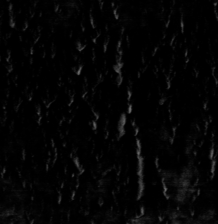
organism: Toxoplasma gondii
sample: Parasites in a vacuole inside a host cell